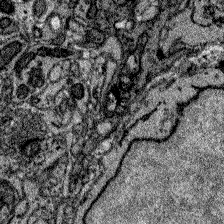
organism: Zebrafish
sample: Larval olfactory bulb